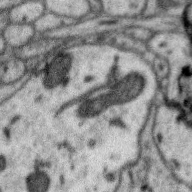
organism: Zebra finch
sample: Brain